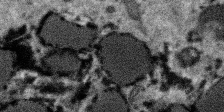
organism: Human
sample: Lung epithelial cells infected with SARS-CoV-2